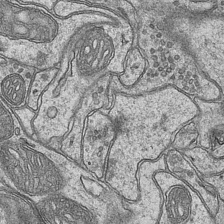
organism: Mouse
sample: CA1 Hippocampus